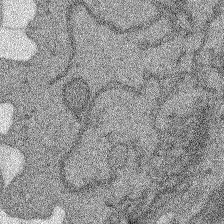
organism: Human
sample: HeLa cells